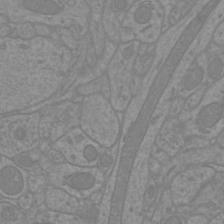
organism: Mouse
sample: Cortical neurons